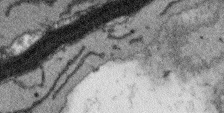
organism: Arabidopsis thaliana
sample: Root tip